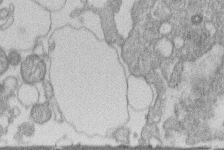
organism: Human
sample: Macrophage cells